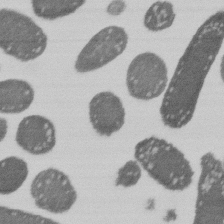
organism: E. coli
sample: Bacterial nucleoid